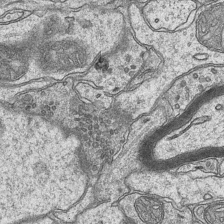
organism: Mouse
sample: CA1 Hippocampus